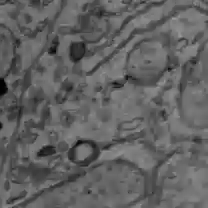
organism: C57BL Mouse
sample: Liver